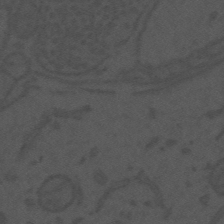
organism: Mouse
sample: Suprachiasmatic nucleus